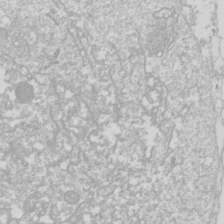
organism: Drosophila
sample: Cell division; meiosis; drosophila spermatocytes